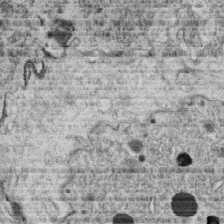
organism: C. elegans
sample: C. elegans oocyte; sperm cells